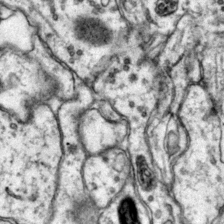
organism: Mouse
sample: Primary visual cortex